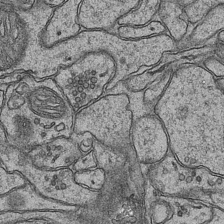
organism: Mouse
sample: CA1 Hippocampus